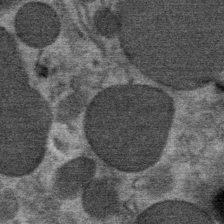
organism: Mouse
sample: Mouse Salivary gland